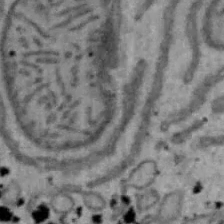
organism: Mouse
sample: Liver